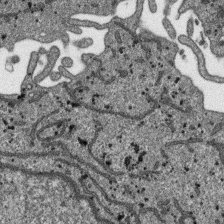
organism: Human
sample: Lung epithelial cells infected with SARS-CoV-2